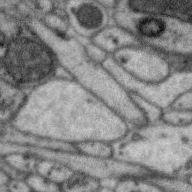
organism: Zebra finch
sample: Brain